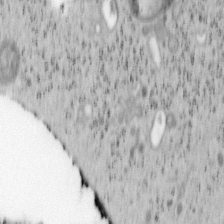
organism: Human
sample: HeLa cells